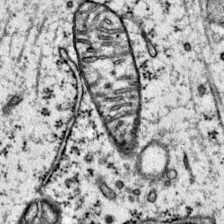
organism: Mouse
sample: Primary visual cortex